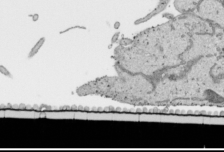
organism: Human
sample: Mitochondria in HCT116 cells